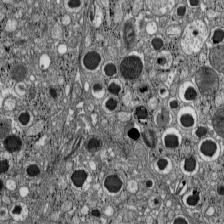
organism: C57BL Mouse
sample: Pancreatic islet